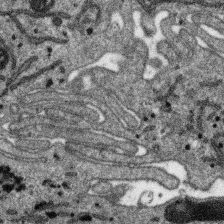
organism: Human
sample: Lung epithelial cells infected with SARS-CoV-2